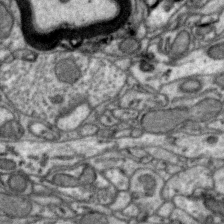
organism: Zebra finch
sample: Brain